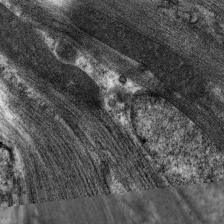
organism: C. elegans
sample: Pharynx